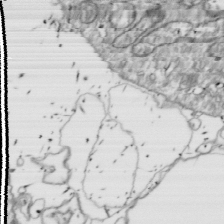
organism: Drosophila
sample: Cell division; meiosis; drosophila spermatocytes